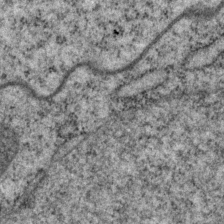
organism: P. pacificus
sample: Pharynx